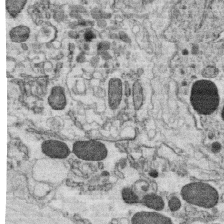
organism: C. elegans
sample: C. elegans oocyte; sperm cells